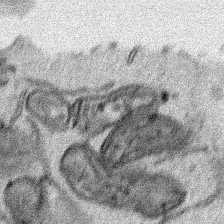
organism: Human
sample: Mitochondria in HCT116 cells